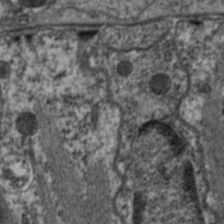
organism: C. elegans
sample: Pharynx